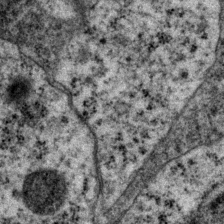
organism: P. pacificus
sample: Pharynx